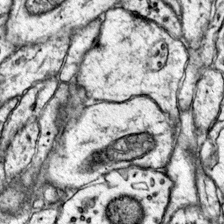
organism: Mouse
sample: Primary visual cortex